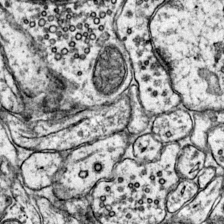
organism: Mouse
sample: Primary visual cortex